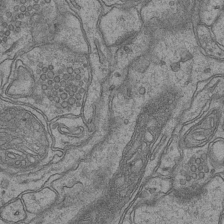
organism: Mouse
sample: CA1 Hippocampus